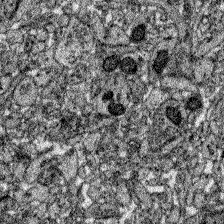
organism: Zebrafish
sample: Larval olfactory bulb